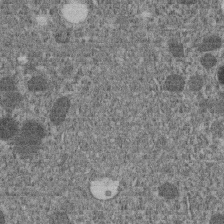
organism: C. elegans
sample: C. elegans embryo early stage